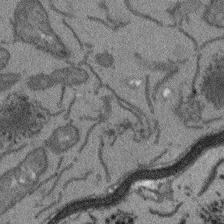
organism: Arabidopsis thaliana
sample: Root tip